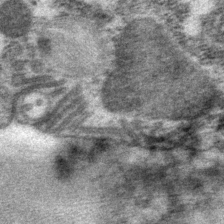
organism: P. pacificus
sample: Pharynx